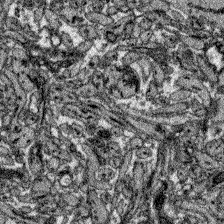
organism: Zebrafish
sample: Larval olfactory bulb